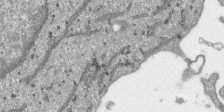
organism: Human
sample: Lung epithelial cells infected with SARS-CoV-2